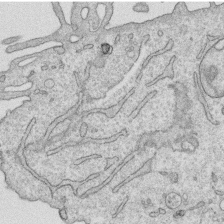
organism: Human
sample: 1205lu cells